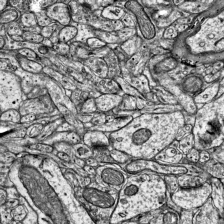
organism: Mouse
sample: Visual Cortex